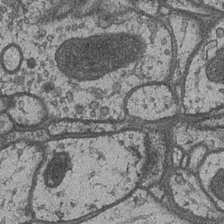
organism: Drosophila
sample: Optic medulla